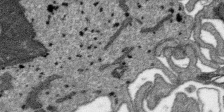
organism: Human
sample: Lung epithelial cells, uninfected (mock) control